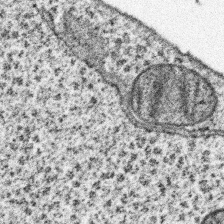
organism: Human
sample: HeLa cells